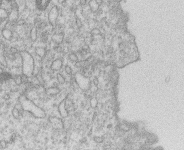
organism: Human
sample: Macrophage cells